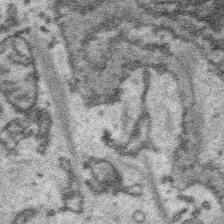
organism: Platynereis dumerilii